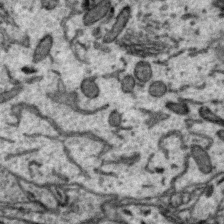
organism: Zebra finch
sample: Brain